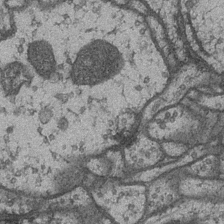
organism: Drosophila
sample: Optic medulla